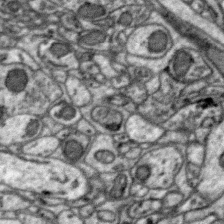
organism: Zebra finch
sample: Brain